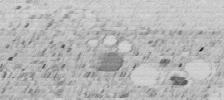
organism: C. elegans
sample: C. elegans embryo early stage